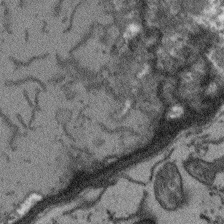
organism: Arabidopsis thaliana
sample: Root tip